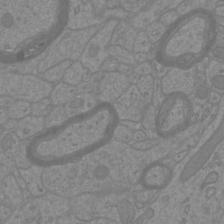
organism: Mouse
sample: Cortical neurons